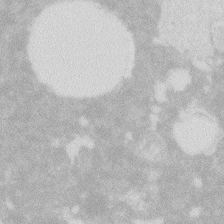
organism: Zebrafish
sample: Macrophage